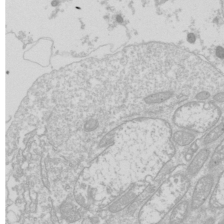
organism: Drosophila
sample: Cell division; meiosis; drosophila spermatocytes